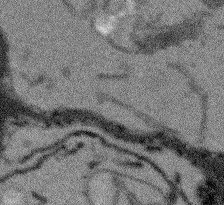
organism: Arabidopsis thaliana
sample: Root tip